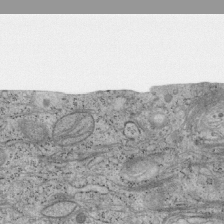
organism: Human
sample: HeLa cells